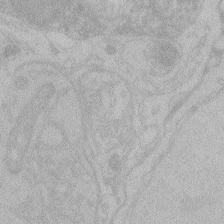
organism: Zebrafish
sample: Macrophage infected with Toxoplasma gondii